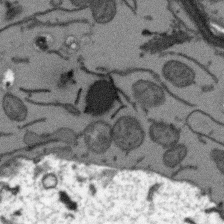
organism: Arabidopsis thaliana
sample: Root tip